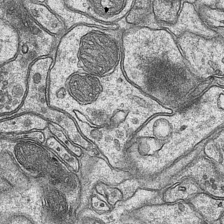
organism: Mouse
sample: CA1 Hippocampus